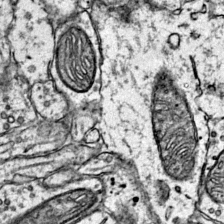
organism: Mouse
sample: Primary visual cortex